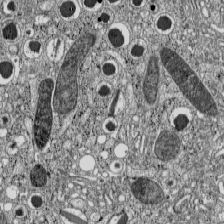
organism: C57BL Mouse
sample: Pancreatic islet